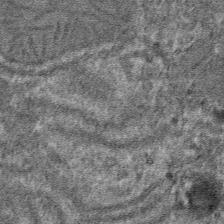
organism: Mouse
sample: Mouse hepatocytes